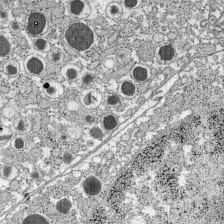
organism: C57BL Mouse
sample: Pancreatic islet